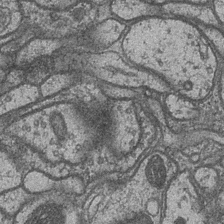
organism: Drosophila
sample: Optic medulla